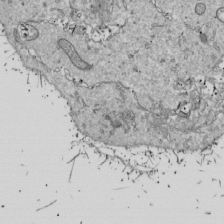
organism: Drosophila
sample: Cell division; meiosis; drosophila spermatocytes